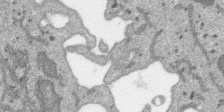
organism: Human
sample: Lung epithelial cells infected with SARS-CoV-2